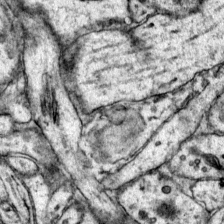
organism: Mouse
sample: Primary visual cortex